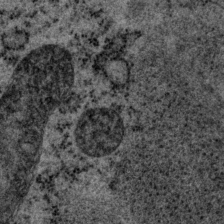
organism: P. pacificus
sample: Pharynx